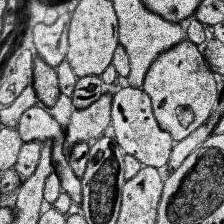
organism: Human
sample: Temporal Lobe